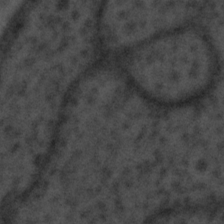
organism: Tuwongella immobilis